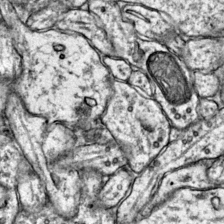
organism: Mouse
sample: Primary visual cortex